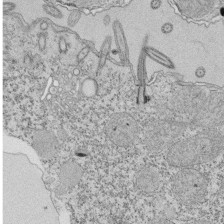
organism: Tetrahymena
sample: Cilia in tetrahymena